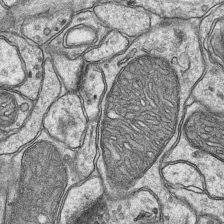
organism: Mouse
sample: CA1 Hippocampus